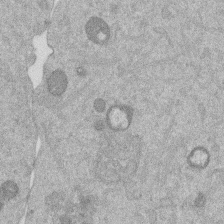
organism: Mouse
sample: Dividing mouse embryo 1 cell stage